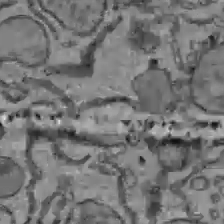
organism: C57BL Mouse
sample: Liver